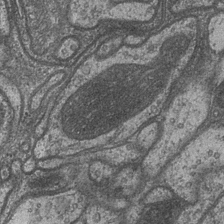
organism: Drosophila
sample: Optic medulla